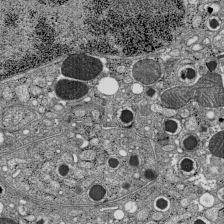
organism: C57BL Mouse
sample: Pancreatic islet